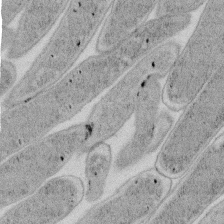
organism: E. coli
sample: Bacterial nucleoid